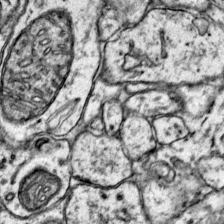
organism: Mouse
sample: Primary visual cortex